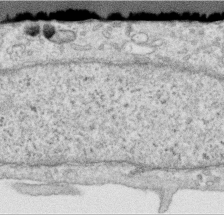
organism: Human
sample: Centriole in RPE cells